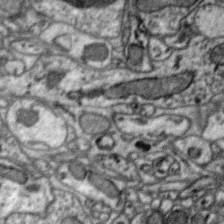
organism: Zebra finch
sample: Brain